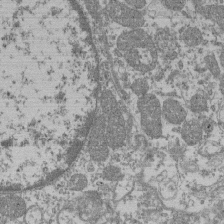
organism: Mouse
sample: Glomerulus